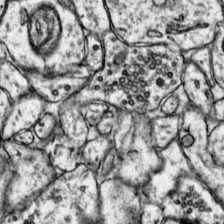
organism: Mouse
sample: Primary visual cortex